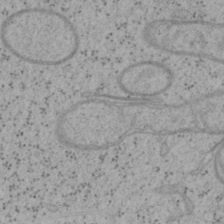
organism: Human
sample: HeLa cells